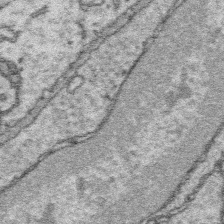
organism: Platynereis dumerilii